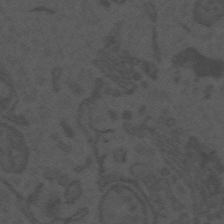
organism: Mouse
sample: Suprachiasmatic nucleus